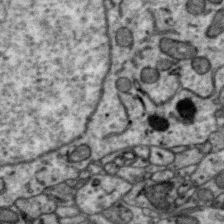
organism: Zebra finch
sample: Brain